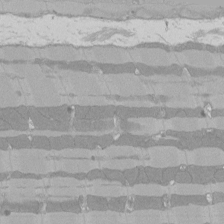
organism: Rat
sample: Left ventricle